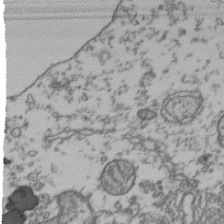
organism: Human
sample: Activated Jurkat CD4+ T cells